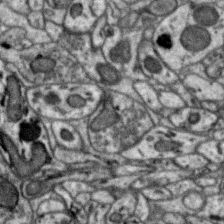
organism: Zebra finch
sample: Brain